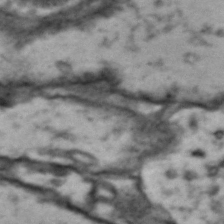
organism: Drosophila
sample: Brain